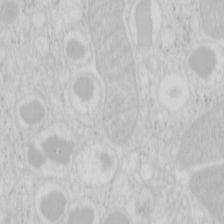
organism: Mouse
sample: Pancreas